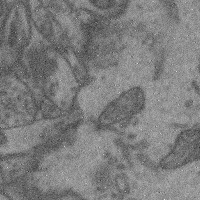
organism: Mouse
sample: Cerebral cortex